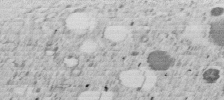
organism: C. elegans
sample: C. elegans embryo early stage